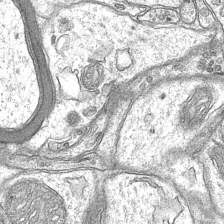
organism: Mouse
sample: CA1 Hippocampus